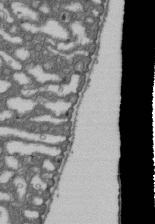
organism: Drosophila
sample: Nephrocyte